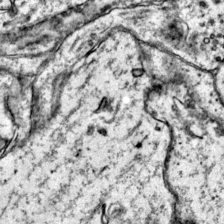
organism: Mouse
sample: Primary visual cortex